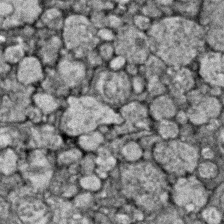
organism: Zebrafish